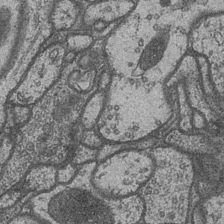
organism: Drosophila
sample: Optic medulla